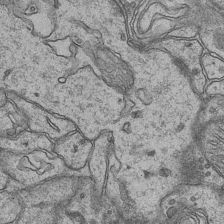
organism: Mouse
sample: CA1 Hippocampus